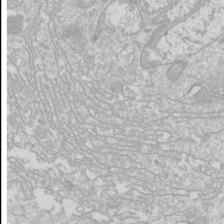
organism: Drosophila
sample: Cell division; meiosis; drosophila spermatocytes